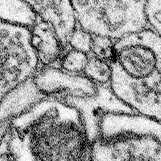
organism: Mouse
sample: Somatosensory cortex neuropil